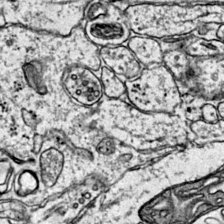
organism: Mouse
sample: Primary visual cortex